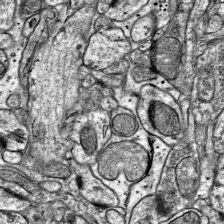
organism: Mouse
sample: Visual Cortex